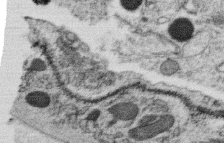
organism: C. elegans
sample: C. elegans oocyte; sperm cells